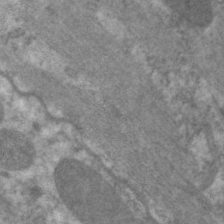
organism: C. elegans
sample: Pharynx